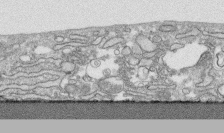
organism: Human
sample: CRL-1474